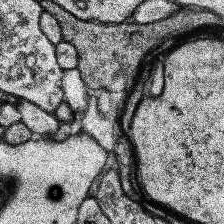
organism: Human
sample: Temporal Lobe